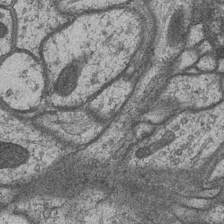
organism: Drosophila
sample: Optic medulla